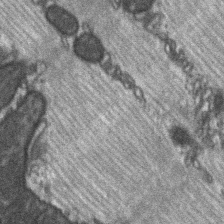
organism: C57BL Mouse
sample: Soleus